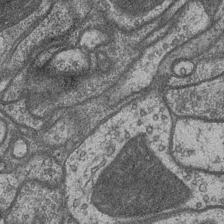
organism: Drosophila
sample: Optic medulla